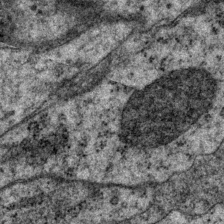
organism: P. pacificus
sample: Pharynx